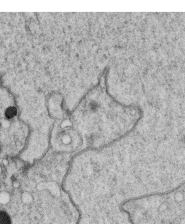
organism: C. elegans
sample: C. elegans oocyte; sperm cells